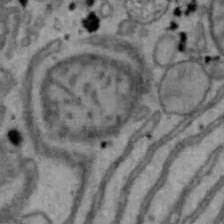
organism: Mouse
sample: Liver